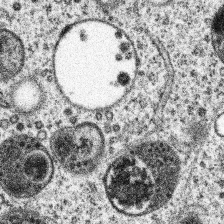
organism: Human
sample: HeLa cells